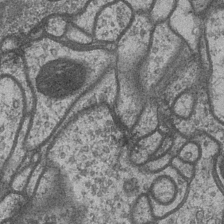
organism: Drosophila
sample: Optic medulla